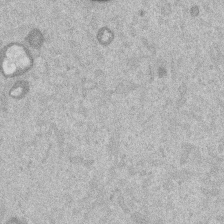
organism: Mouse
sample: Dividing mouse embryo 1 cell stage